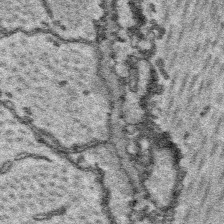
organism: Platynereis dumerilii